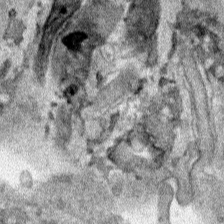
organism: Human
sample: Mitochondria in HCT116 cells